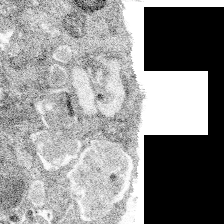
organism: Spongilla lacustris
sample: Multiple